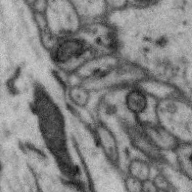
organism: Zebra finch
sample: Brain